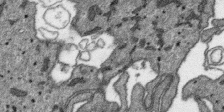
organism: Human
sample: Lung epithelial cells, uninfected (mock) control